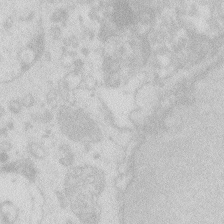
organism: Zebrafish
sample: Macrophage